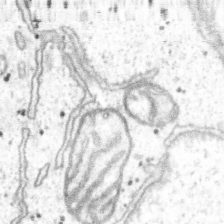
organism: Human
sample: HeLa cells